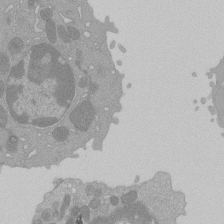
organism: Mouse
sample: Activated Pmel transgenic CD8+ T Cells